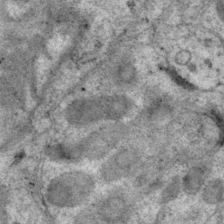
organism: P. pacificus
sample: Pharynx